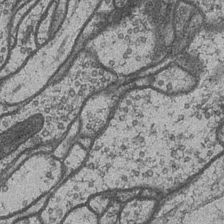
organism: Drosophila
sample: Optic medulla